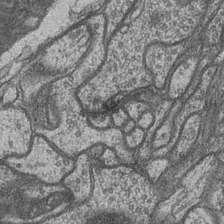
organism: Drosophila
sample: Optic medulla